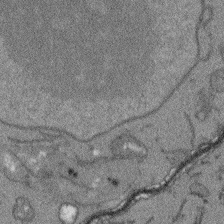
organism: Arabidopsis thaliana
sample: Root tip